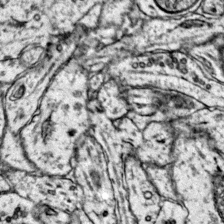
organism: Mouse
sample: Primary visual cortex